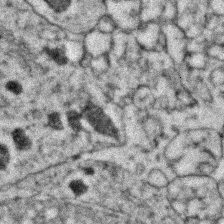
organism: Zebrafish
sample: Zebrafish embryo